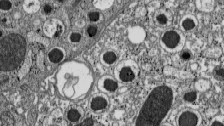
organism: C57BL Mouse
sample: Pancreatic islet